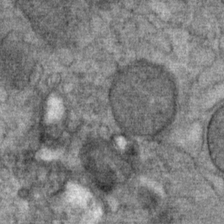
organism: Mouse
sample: Mouse Salivary gland